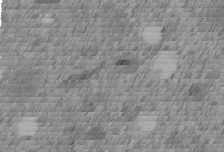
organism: C. elegans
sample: C. elegans embryo early stage